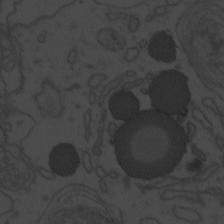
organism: Zebrafish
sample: Macrophage infected with Toxoplasma gondii